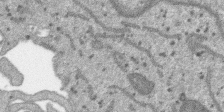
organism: Human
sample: Lung epithelial cells infected with SARS-CoV-2